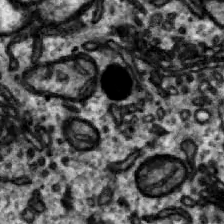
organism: Human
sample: HeLa cells